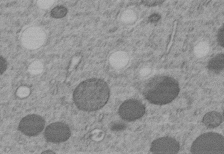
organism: C. elegans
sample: C. elegans embryo early stage